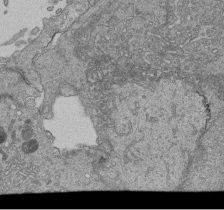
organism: Human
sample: Retinal organoid Rod and Cone cells